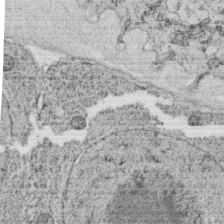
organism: C. elegans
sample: C. elegans oocyte; sperm cells